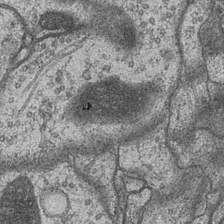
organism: Drosophila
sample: Optic medulla